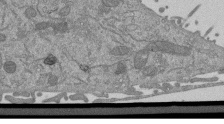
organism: Mouse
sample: ED-1 cell nuclei; centrioles